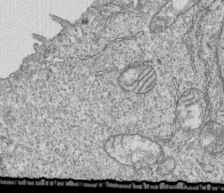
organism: Human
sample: HeLa cell HIV synapse